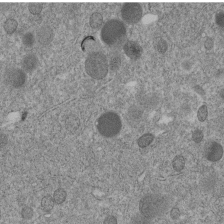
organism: C. elegans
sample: C. elegans embryo early stage